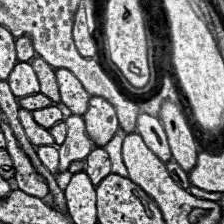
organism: Human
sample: Temporal Lobe